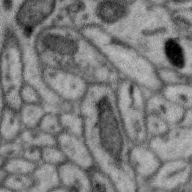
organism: Zebra finch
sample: Brain